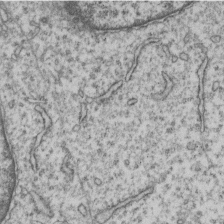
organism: Human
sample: MDA-MB-231 cells